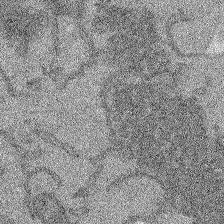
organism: Human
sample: HeLa cells